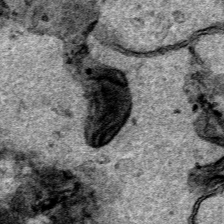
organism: Human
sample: Mitochondria in HCT116 cells